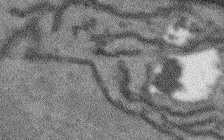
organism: Arabidopsis thaliana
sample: Root tip